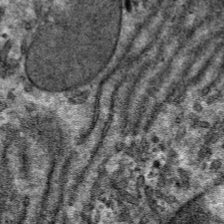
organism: Mouse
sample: Mouse hepatocytes